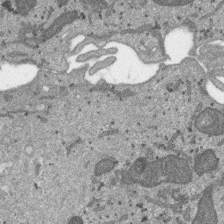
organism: Human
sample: Lung epithelial cells infected with SARS-CoV-2